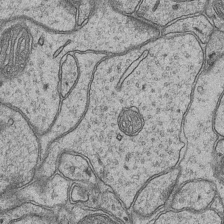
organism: Mouse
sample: CA1 Hippocampus